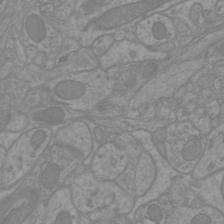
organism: Mouse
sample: Cortical neurons